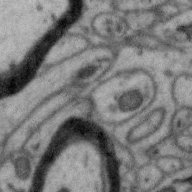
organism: Zebra finch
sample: Brain